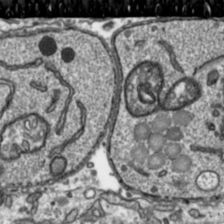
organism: Toxoplasma gondii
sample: Parasites in a vacuole inside a host cell